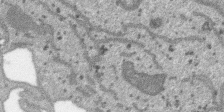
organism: Human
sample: Lung epithelial cells infected with SARS-CoV-2